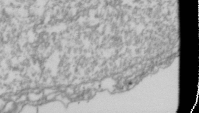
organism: Drosophila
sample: Cell division; meiosis; drosophila spermatocytes